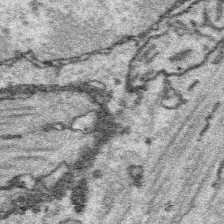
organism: Platynereis dumerilii